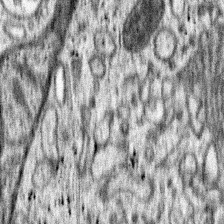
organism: Human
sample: HeLa cells